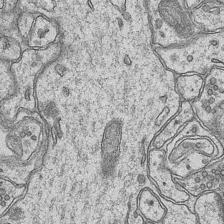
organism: Mouse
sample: CA1 Hippocampus